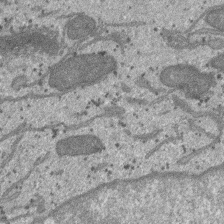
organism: Human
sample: Lung epithelial cells infected with SARS-CoV-2